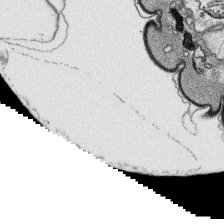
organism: Platynereis dumerilii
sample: Parapodia